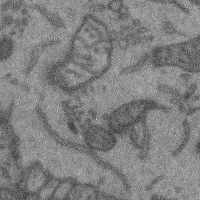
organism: Mouse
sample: Cerebral cortex